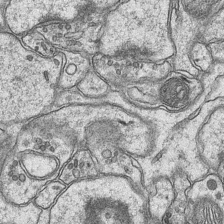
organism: Mouse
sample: CA1 Hippocampus